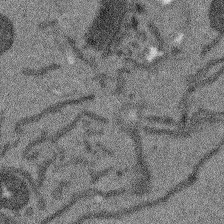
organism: Arabidopsis thaliana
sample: Root tip